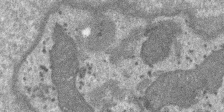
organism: Human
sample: Lung epithelial cells infected with SARS-CoV-2